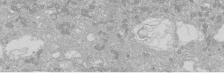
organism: Human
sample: Caco-2 cells